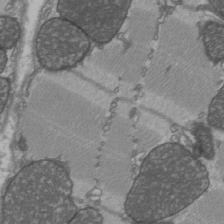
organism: C57BL Mouse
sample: Heart